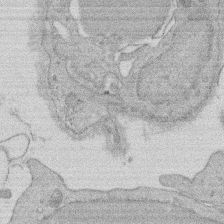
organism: Rat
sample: Salivary granule